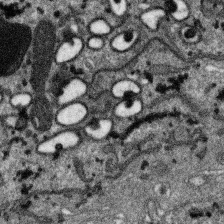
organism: Human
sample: Lung epithelial cells infected with SARS-CoV-2